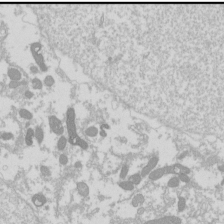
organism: Drosophila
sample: Cell division; meiosis; drosophila spermatocytes